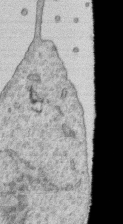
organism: Human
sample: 1205lu cells